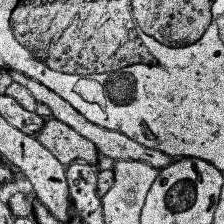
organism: Human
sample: Temporal Lobe